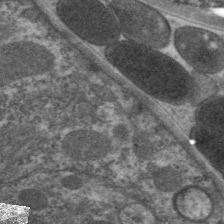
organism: C. elegans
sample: Pharynx